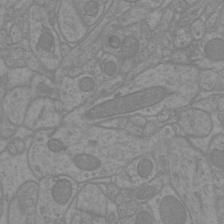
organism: Mouse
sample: Cortical neurons